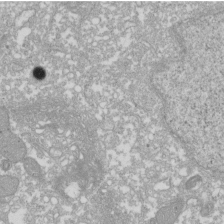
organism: Xenopus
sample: Cilia; centrioles in frog embryo cells